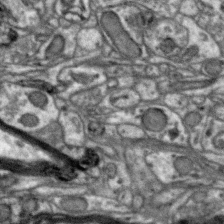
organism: Zebra finch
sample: Brain